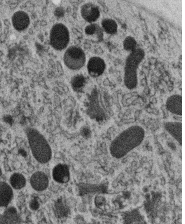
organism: C. elegans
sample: C. elegans oocyte; sperm cells